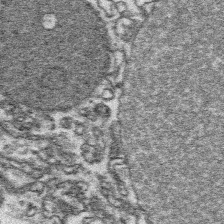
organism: Platynereis dumerilii